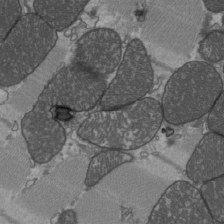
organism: C57BL Mouse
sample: Heart